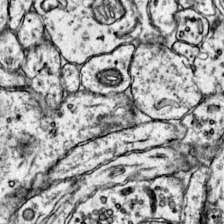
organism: Mouse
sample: Primary visual cortex